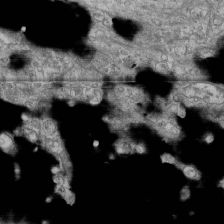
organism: Human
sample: Fibroblast cells